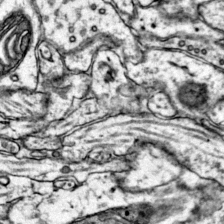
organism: Mouse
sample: Primary visual cortex